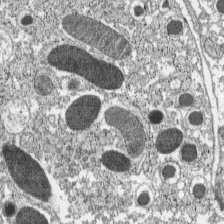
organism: C57BL Mouse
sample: Pancreatic islet